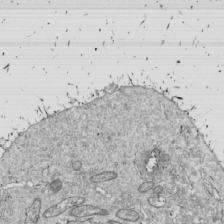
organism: Drosophila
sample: Cell division; meiosis; drosophila spermatocytes